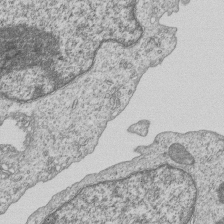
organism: Human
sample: MDA-MB-231 cells